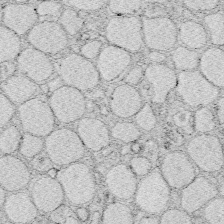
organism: Zebrafish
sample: Whole-Brain